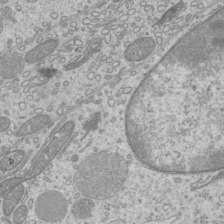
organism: Mouse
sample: Cilia; mouse epididymis